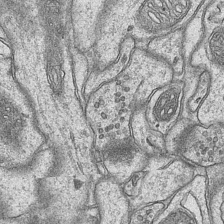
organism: Mouse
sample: CA1 Hippocampus